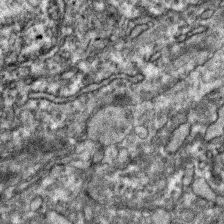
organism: Zebrafish